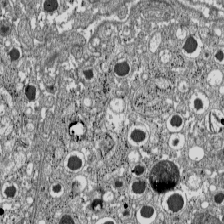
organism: C57BL Mouse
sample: Pancreatic islet